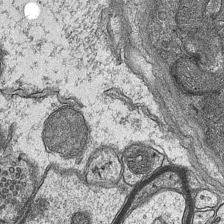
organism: Mouse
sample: CA1 Hippocampus